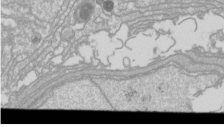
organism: Drosophila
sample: Cell division; meiosis; drosophila spermatocytes